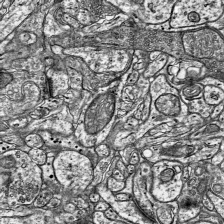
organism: Mouse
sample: Visual Cortex